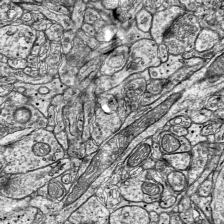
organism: Mouse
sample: Visual Cortex